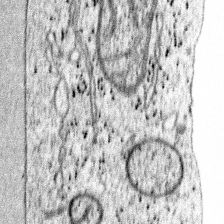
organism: Human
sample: HeLa cells